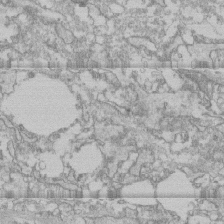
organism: Human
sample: CRL-1474